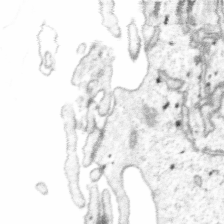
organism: Human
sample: HeLa cells